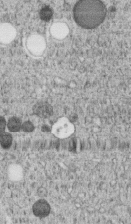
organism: C. elegans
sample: C. elegans embryo early stage